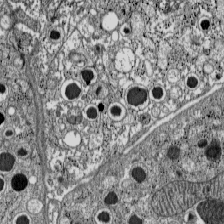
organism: C57BL Mouse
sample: Pancreatic islet